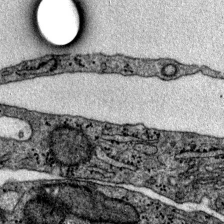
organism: Mouse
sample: Primary visual cortex